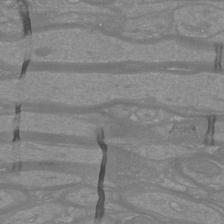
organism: Mouse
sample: Cortical neurons